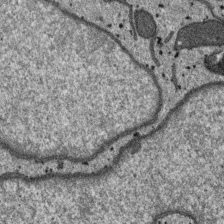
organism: Human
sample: Lung epithelial cells, uninfected (mock) control